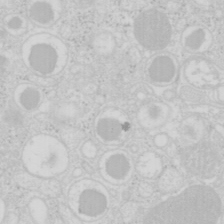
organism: Mouse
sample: Pancreas